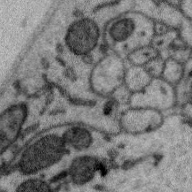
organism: Zebra finch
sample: Brain